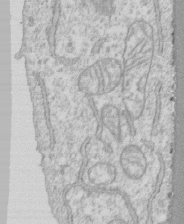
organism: Human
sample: CRL-1474